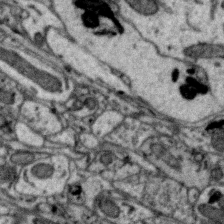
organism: Zebra finch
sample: Brain